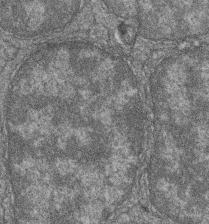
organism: Zebrafish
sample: Cilia; retinal pigment epithelium